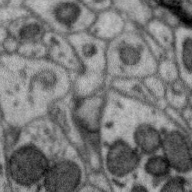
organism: Zebra finch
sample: Brain